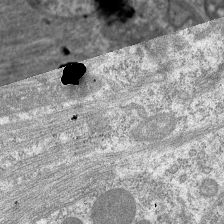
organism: C. elegans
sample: Pharynx